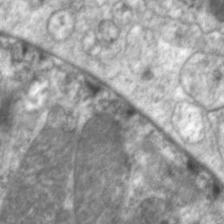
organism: C. elegans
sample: Pharynx